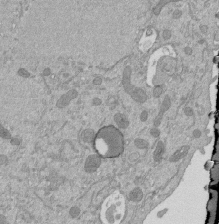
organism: Mouse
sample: ED-1 cell nuclei; centrioles